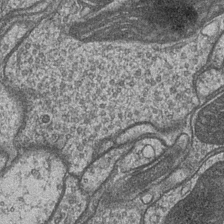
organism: Drosophila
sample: Optic medulla